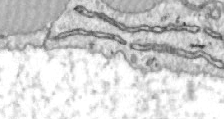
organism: Zebrafish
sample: Actinotrichia fibers